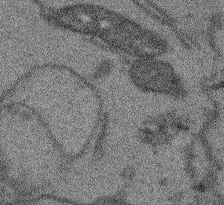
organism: Arabidopsis thaliana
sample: Root tip